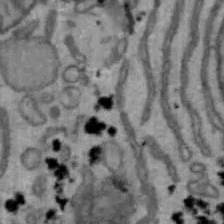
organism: Mouse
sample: Liver